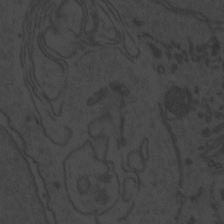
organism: Zebrafish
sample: Macrophage infected with Toxoplasma gondii